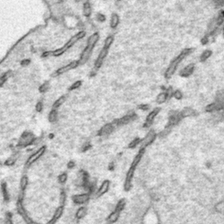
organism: Human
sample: Mitochondria in HCT116 cells